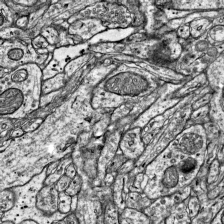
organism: Mouse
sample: Visual Cortex